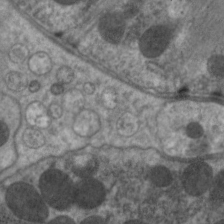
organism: C. elegans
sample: Pharynx